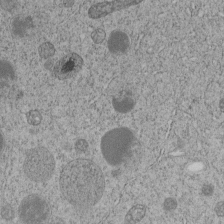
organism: C. elegans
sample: C. elegans embryo early stage